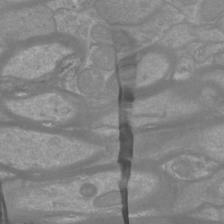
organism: Mouse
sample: Cortical neurons